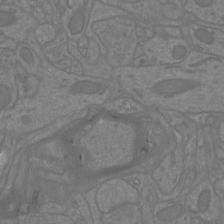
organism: Mouse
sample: Cortical neurons